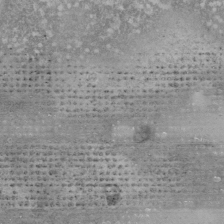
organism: Human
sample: Mitochondria in HCT116 cells